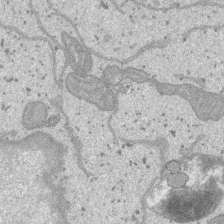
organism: Human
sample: Lung epithelial cells infected with SARS-CoV-2